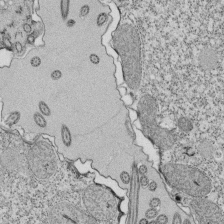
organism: Tetrahymena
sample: Cilia in tetrahymena